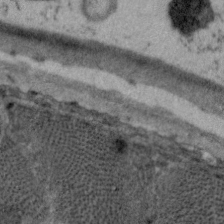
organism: C. elegans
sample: Pharynx